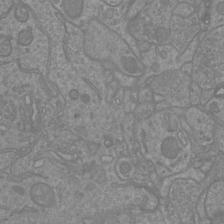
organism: Mouse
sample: Cortical neurons